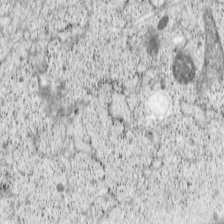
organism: African green monkey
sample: COS-7 cells